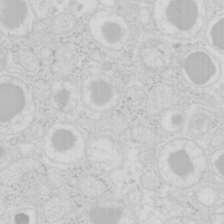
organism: Mouse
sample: Pancreas